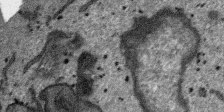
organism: Human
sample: Lung epithelial cells, uninfected (mock) control